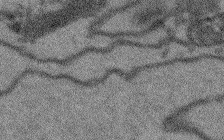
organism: Arabidopsis thaliana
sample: Root tip